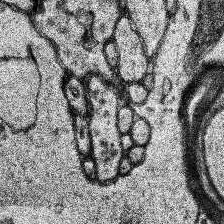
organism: Human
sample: Temporal Lobe